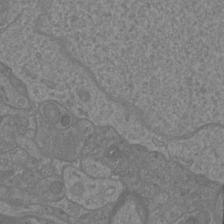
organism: Mouse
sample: Cortical neurons